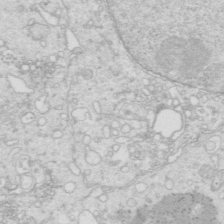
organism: Mouse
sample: Multiciliated cells